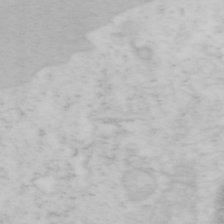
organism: Mouse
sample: OT-I killer T cells with ID8 ovarian cancer cells